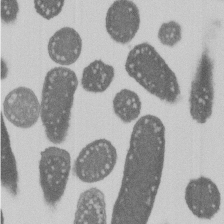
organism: E. coli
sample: Bacterial nucleoid